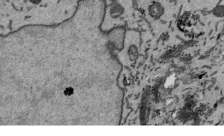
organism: Mouse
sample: ED-1 cell nuclei; centrioles